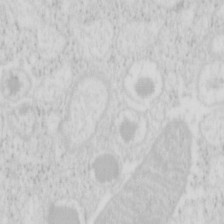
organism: Mouse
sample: Pancreas